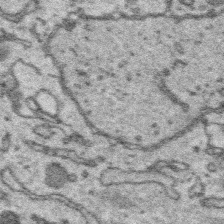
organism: Platynereis dumerilii